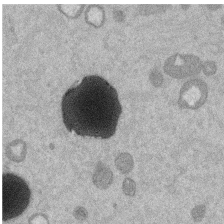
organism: Mouse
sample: Dividing mouse embryo 1 cell stage